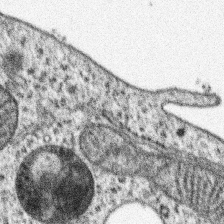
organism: Human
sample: HeLa cells